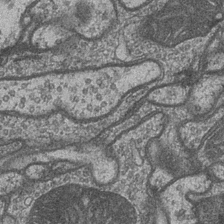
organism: Drosophila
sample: Optic medulla